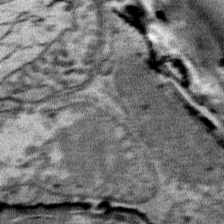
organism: Mouse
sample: Mouse Salivary gland